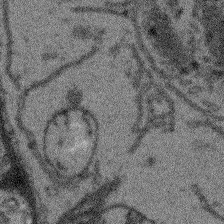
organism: Arabidopsis thaliana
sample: Root tip